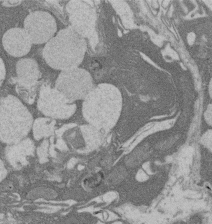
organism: Rat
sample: Salivary granule